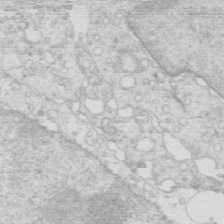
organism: Mouse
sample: Multiciliated cells